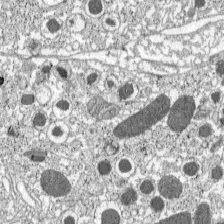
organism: C57BL Mouse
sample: Pancreatic islet